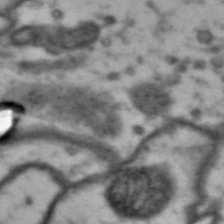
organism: Drosophila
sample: Brain